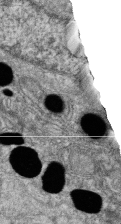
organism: Zebrafish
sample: Cilia; retinal pigment epithelium